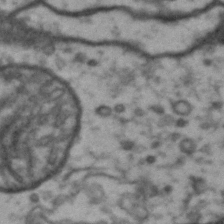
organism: Drosophila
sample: Brain